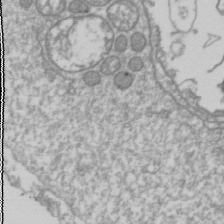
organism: Drosophila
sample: Cell division; meiosis; drosophila spermatocytes